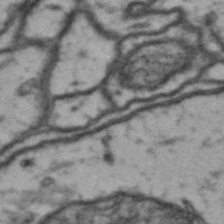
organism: Drosophila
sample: Brain